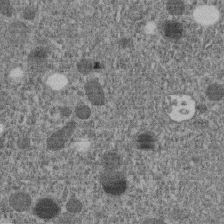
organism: C. elegans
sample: C. elegans embryo early stage